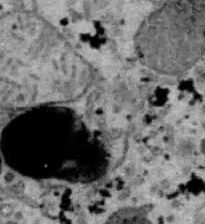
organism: Mouse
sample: Liver from an obese (ob/ob) mouse